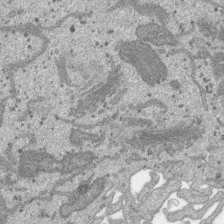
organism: Human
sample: Lung epithelial cells infected with SARS-CoV-2